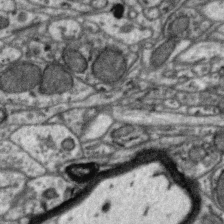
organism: Zebra finch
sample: Brain